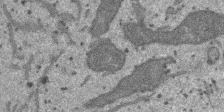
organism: Human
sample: Lung epithelial cells infected with SARS-CoV-2